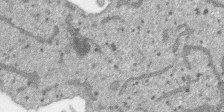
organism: Human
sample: Lung epithelial cells infected with SARS-CoV-2